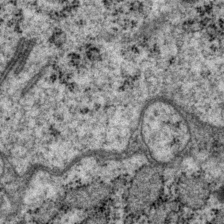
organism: P. pacificus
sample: Pharynx